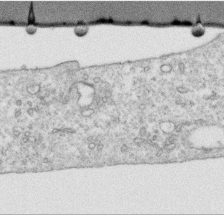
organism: Human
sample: Centriole in RPE cells